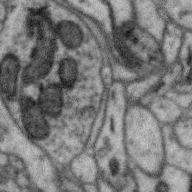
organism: Zebra finch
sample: Brain